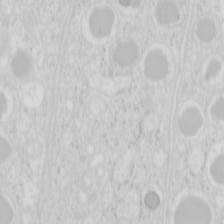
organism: Mouse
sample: Pancreas